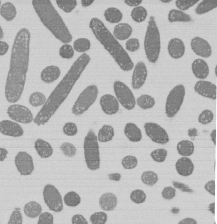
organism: E. coli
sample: Bacterial nucleoid